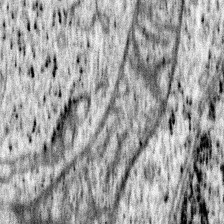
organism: Human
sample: HeLa cells